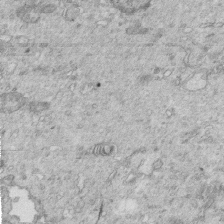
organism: Mouse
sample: Multiciliated cells